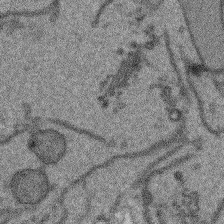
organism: Arabidopsis thaliana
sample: Root tip